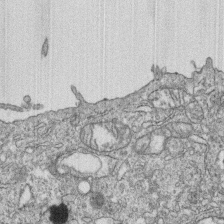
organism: Human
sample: HeLa cell HIV synapse